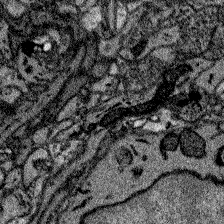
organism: Zebrafish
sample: Larval olfactory bulb